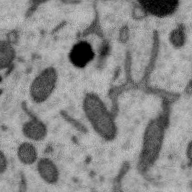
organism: Zebra finch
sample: Brain